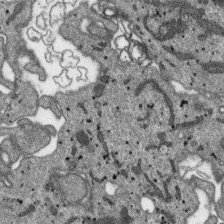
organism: Human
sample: Lung epithelial cells, uninfected (mock) control